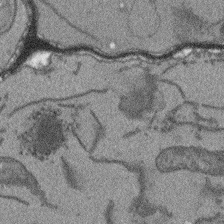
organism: Arabidopsis thaliana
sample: Root tip